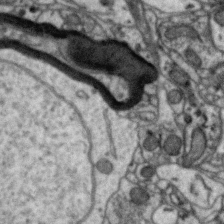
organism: Zebra finch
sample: Brain